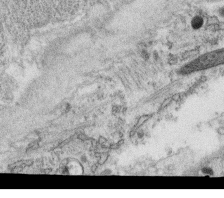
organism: C. elegans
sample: C. elegans oocyte; sperm cells